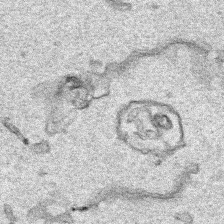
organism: Human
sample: Mitochondria in HCT116 cells